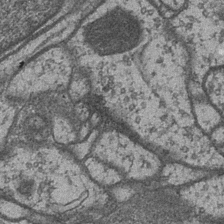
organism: Drosophila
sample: Optic medulla